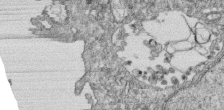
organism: Human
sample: HeLa cell HIV synapse